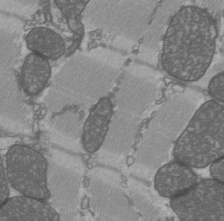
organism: C57BL Mouse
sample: Heart